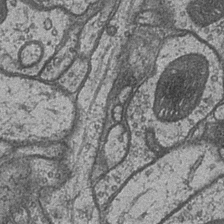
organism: Drosophila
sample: Optic medulla